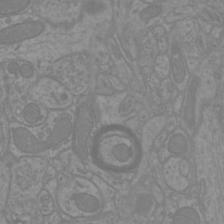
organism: Mouse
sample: Cortical neurons